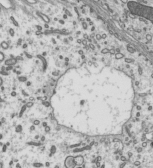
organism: Mouse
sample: Mouse epididymis efferent ductule cilia